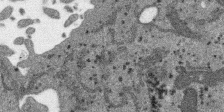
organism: Human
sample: Lung epithelial cells infected with SARS-CoV-2